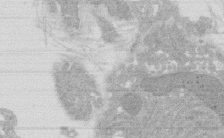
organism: Rat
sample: Salivary granule